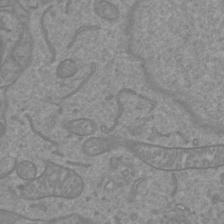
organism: Mouse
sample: Cortical neurons